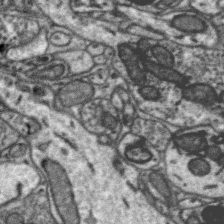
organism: Zebra finch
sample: Brain